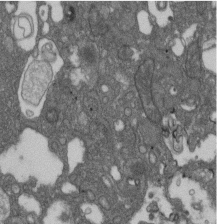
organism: Drosophila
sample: Nephrocyte